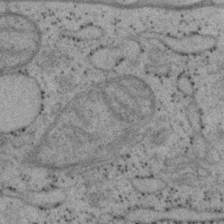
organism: Human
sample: HeLa cells